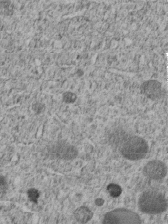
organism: C. elegans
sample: C. elegans embryo early stage